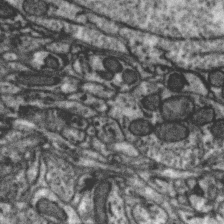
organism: Zebra finch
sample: Brain